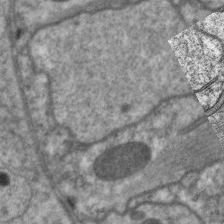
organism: C. elegans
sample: Pharynx